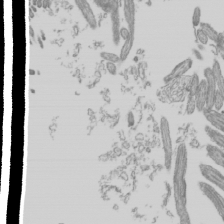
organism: Mouse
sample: Cilia; mouse epididymis